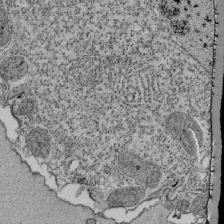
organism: Tetrahymena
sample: Cilia in tetrahymena